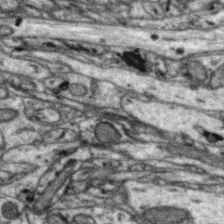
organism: Zebra finch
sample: Brain